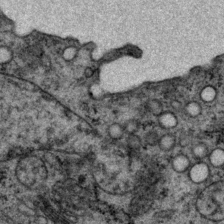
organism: P. pacificus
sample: Pharynx